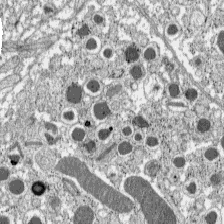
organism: C57BL Mouse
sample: Pancreatic islet